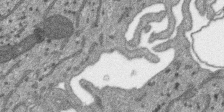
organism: Human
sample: Lung epithelial cells infected with SARS-CoV-2